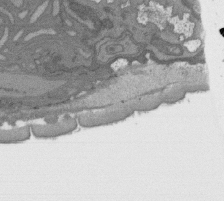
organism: C. elegans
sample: AFD neurons C. elegans